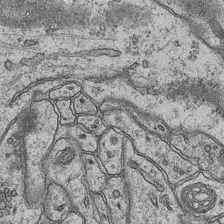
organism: Mouse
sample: CA1 Hippocampus